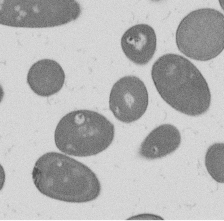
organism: B. subtilis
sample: Bacterial spore